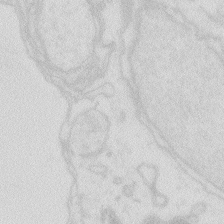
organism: Zebrafish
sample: Macrophage